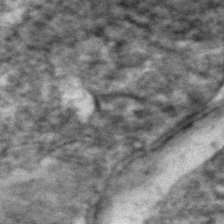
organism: Zebrafish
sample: Zebrafish embryo